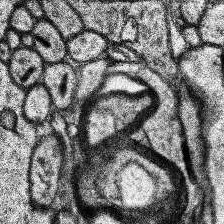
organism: Human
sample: Temporal Lobe